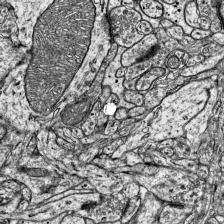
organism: Mouse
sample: Visual Cortex